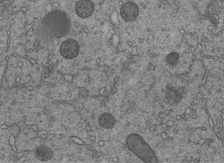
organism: C. elegans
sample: C. elegans embryo early stage